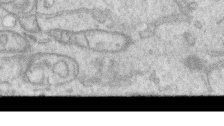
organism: Human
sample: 1205lu cells